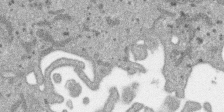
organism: Human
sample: Lung epithelial cells infected with SARS-CoV-2